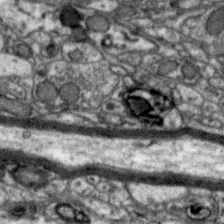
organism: Zebra finch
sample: Brain